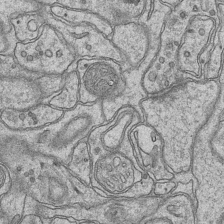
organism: Mouse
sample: CA1 Hippocampus